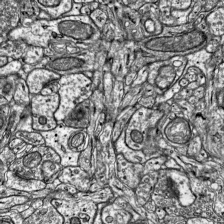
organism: Mouse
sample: Visual Cortex